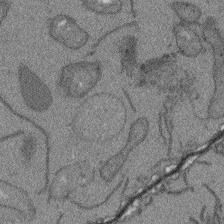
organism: Arabidopsis thaliana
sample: Root tip